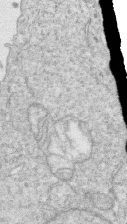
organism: Human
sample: HeLa cell HIV synapse